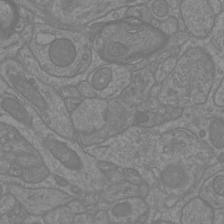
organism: Mouse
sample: Cortical neurons